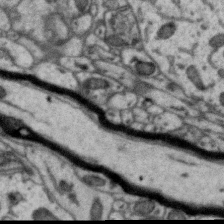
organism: Zebra finch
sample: Brain